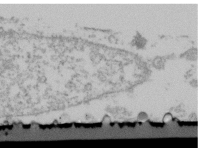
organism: Human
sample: U2-OS cells